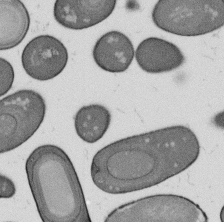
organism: B. subtilis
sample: Bacterial spore